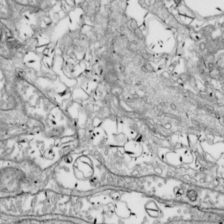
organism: Drosophila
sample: Cell division; meiosis; drosophila spermatocytes